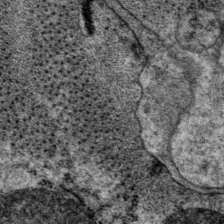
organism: P. pacificus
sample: Pharynx